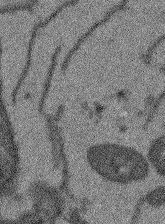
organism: Arabidopsis thaliana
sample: Root tip